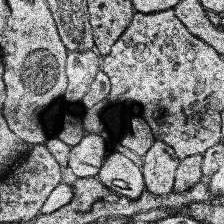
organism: Human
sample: Temporal Lobe